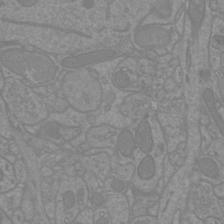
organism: Mouse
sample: Cortical neurons